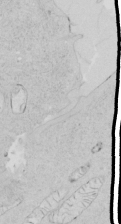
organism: Human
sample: Mitochondria in HCT116 cells